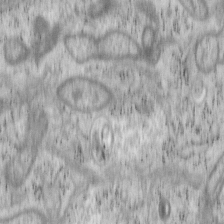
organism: Human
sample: HeLa cells